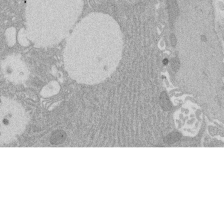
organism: Rat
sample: Salivary granule